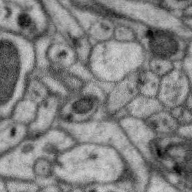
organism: Zebra finch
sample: Brain